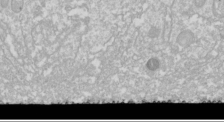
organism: Drosophila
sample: Cell division; meiosis; drosophila spermatocytes